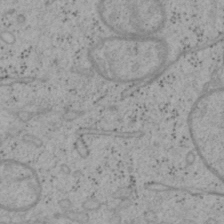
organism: Human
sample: HeLa cells